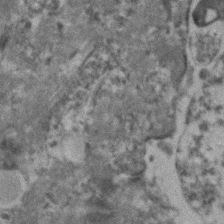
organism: Human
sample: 1205lu cells